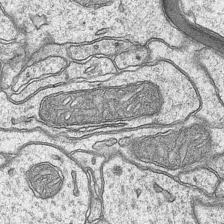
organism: Mouse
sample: CA1 Hippocampus